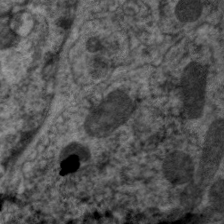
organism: C. elegans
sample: Pharynx